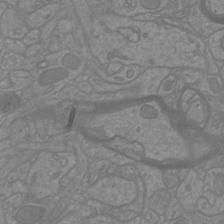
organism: Mouse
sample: Cortical neurons